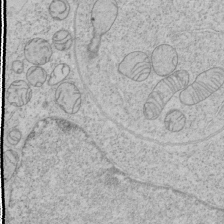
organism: Human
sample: Mitochondria in HCT116 cells